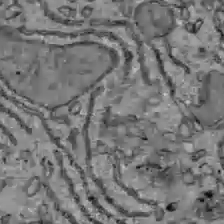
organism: C57BL Mouse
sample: Liver